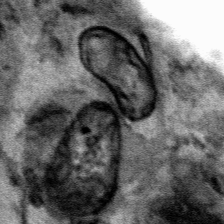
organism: Human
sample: Mitochondria in HCT116 cells